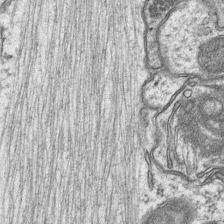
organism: Mouse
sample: CA1 Hippocampus